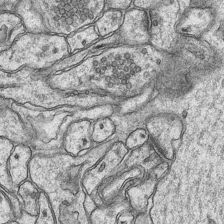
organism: Mouse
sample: CA1 Hippocampus